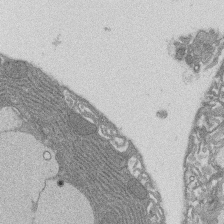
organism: Rat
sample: Salivary granule